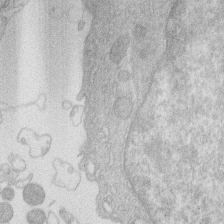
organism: Human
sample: Macrophage cells